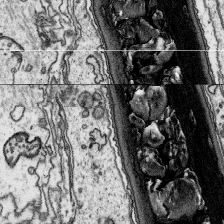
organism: Platynereis dumerilii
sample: Parapodia